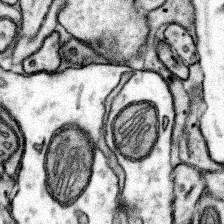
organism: Mouse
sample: Somatosensory cortex neuropil